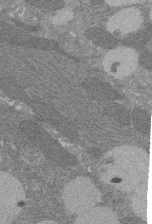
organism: Rat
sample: Salivary granule